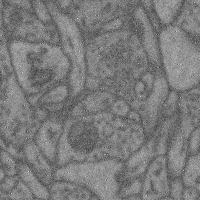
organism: Mouse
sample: Cerebral cortex